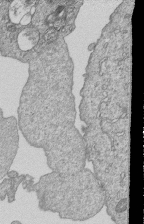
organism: Human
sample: MDA-MB-231 cells